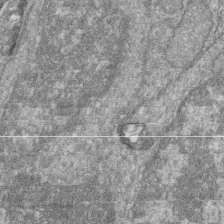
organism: Zebrafish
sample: Cilia; retinal pigment epithelium